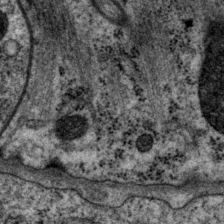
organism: P. pacificus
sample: Pharynx